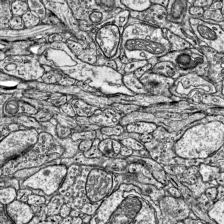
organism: Mouse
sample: Visual Cortex